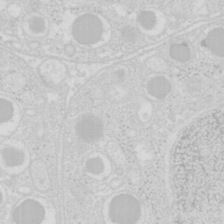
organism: Mouse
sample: Pancreas